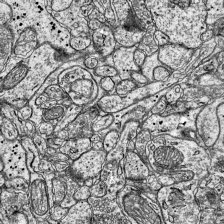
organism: Mouse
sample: Visual Cortex